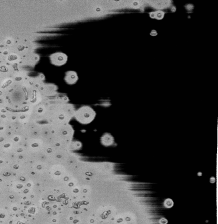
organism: Mouse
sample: Activated Pmel transgenic CD8+ T Cells